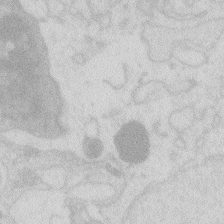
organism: Zebrafish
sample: Macrophage